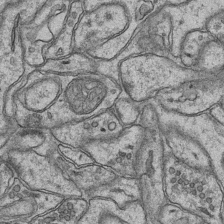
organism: Mouse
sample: CA1 Hippocampus